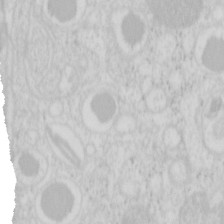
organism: Mouse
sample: Pancreas